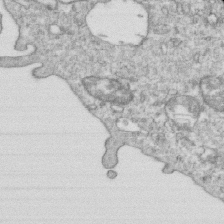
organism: Mouse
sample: Activated OT-1 CD8+ T cells